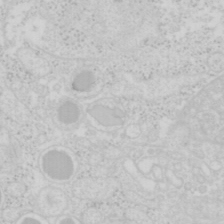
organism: Mouse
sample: Pancreas